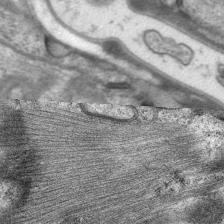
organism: C. elegans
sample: Pharynx